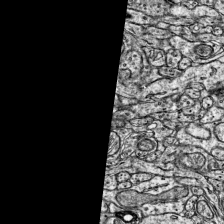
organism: Mouse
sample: Visual Cortex